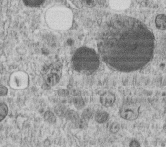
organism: C. elegans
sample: C. elegans embryo early stage